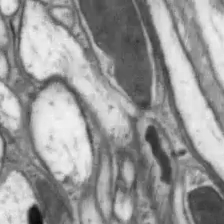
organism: Drosophila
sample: Optic lobe